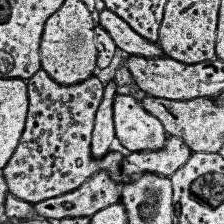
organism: Human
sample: Temporal Lobe